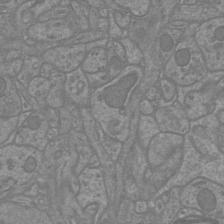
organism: Mouse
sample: Cortical neurons